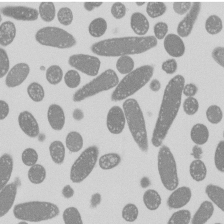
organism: E. coli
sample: Bacterial nucleoid